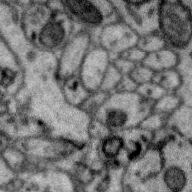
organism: Zebra finch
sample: Brain